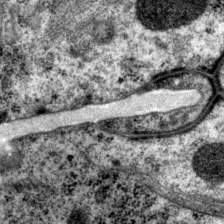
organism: P. pacificus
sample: Pharynx